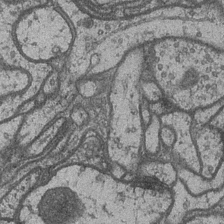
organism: Drosophila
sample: Optic medulla